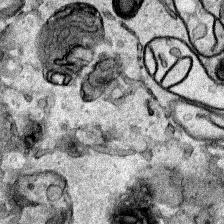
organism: Human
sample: Mitochondria in HCT116 cells